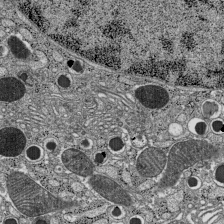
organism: C57BL Mouse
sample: Pancreatic islet